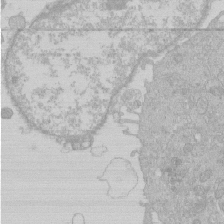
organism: Human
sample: Macrophage cells